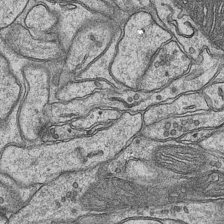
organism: Mouse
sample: CA1 Hippocampus